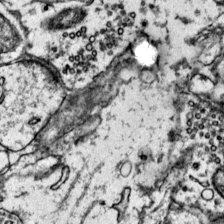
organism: Mouse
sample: Primary visual cortex